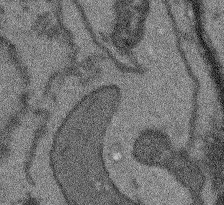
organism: Arabidopsis thaliana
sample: Root tip